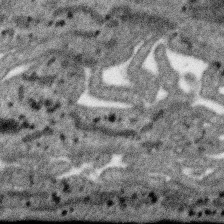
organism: Human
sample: Lung epithelial cells infected with SARS-CoV-2